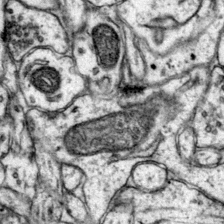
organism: Mouse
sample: Primary visual cortex